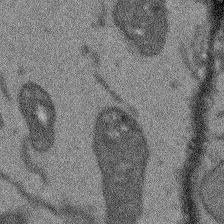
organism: Arabidopsis thaliana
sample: Root tip